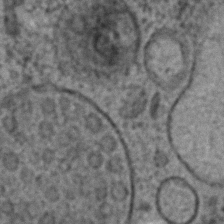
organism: C. elegans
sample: C. elegans embryo